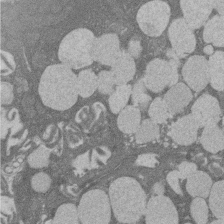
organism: Rat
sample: Salivary granule